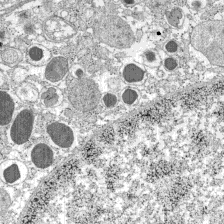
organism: C57BL Mouse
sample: Pancreatic islet